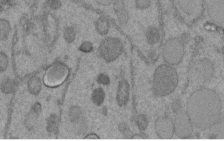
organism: C. elegans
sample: C. elegans embryo early stage